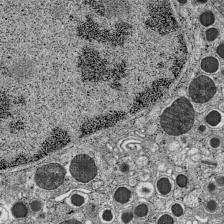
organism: C57BL Mouse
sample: Pancreatic islet